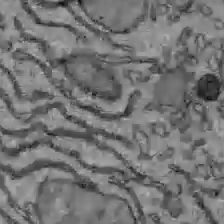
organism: C57BL Mouse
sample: Liver